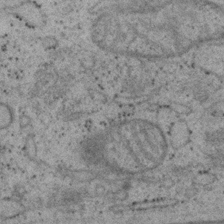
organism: Human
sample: HeLa cells